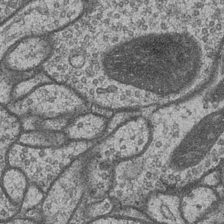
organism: Drosophila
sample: Optic medulla